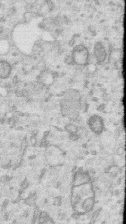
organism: Human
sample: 1205lu cells